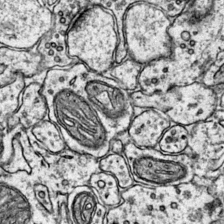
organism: Mouse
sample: Primary visual cortex